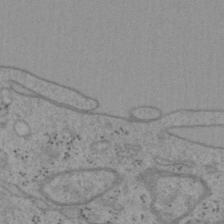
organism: Human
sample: HeLa cells